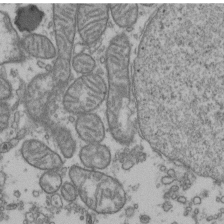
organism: Human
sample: Activated Jurkat CD4+ T cells